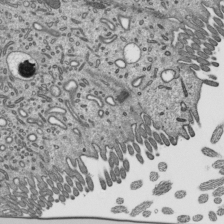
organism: Mouse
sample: Mouse epididymis efferent ductule cilia